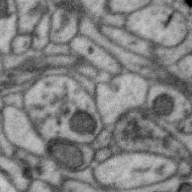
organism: Zebra finch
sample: Brain